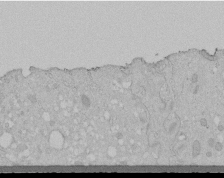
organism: Human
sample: Melanocyte Keratinocyte synapse skin construct